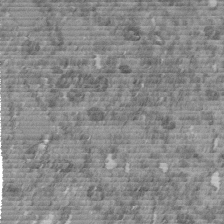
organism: C. elegans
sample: C. elegans embryo early stage